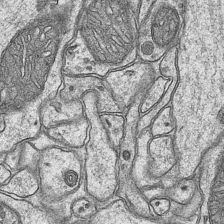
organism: Mouse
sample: CA1 Hippocampus